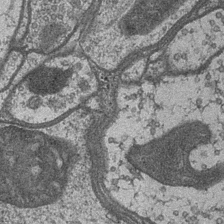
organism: Drosophila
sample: Optic medulla